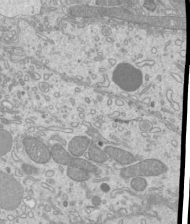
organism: Mouse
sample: Cilia; mouse epididymis